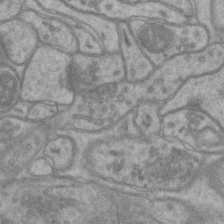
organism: Mouse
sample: CA1 Hippocampus